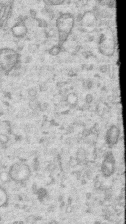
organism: Human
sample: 1205lu cells